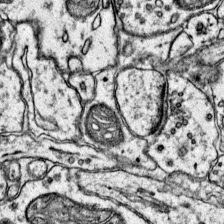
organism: Mouse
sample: Primary visual cortex